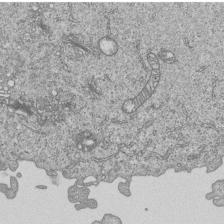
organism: Human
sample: MDA-MB-231 cells